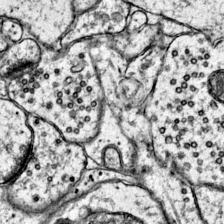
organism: Mouse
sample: Primary visual cortex